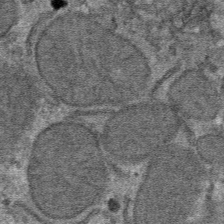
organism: Mouse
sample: Mouse hepatocytes